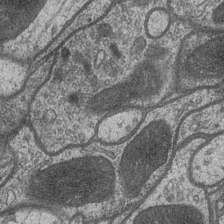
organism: Drosophila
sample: Optic medulla